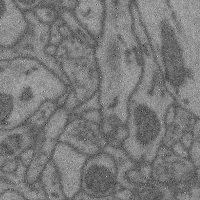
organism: Mouse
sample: Cerebral cortex